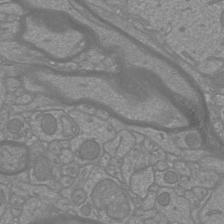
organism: Mouse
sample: Cortical neurons